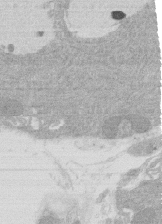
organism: Rat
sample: Salivary granule